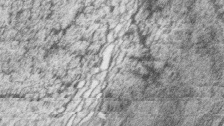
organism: Zebrafish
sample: synaptic ribbons in rod cells and cone cells